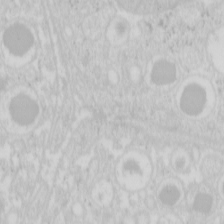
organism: Mouse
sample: Pancreas